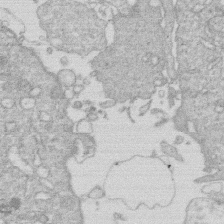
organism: Human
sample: Macrophage cells